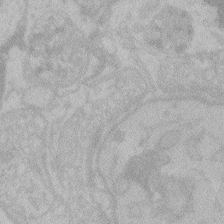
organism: Zebrafish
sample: Macrophage infected with Toxoplasma gondii